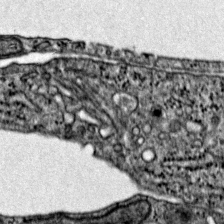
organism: Mouse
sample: Primary visual cortex